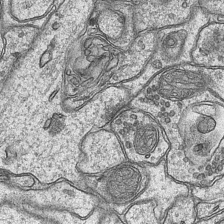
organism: Mouse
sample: CA1 Hippocampus